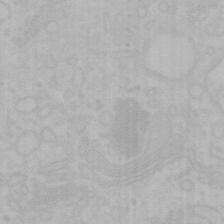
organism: Mouse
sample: Choroid plexus